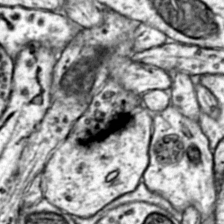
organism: Mouse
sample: Primary visual cortex